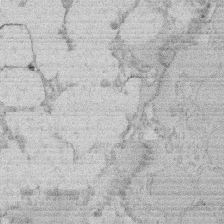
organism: Rat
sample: Salivary granule